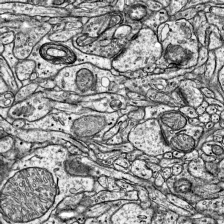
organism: Mouse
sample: Visual Cortex